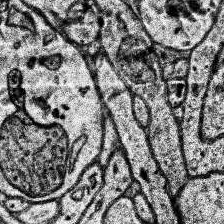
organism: Human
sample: Temporal Lobe